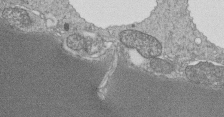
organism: Tetrahymena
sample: Cilia in tetrahymena